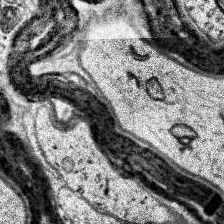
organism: Human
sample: Temporal Lobe